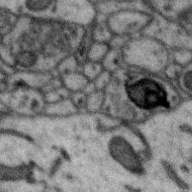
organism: Zebra finch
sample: Brain